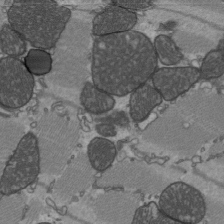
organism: C57BL Mouse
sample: Heart